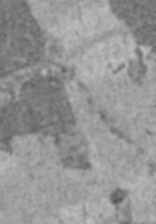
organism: C57BL Mouse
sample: Heart